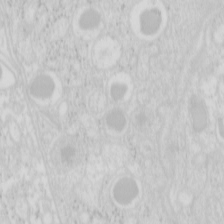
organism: Mouse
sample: Pancreas